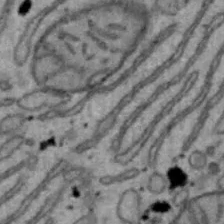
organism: Mouse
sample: Liver